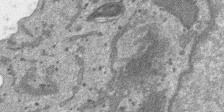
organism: Human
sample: Lung epithelial cells infected with SARS-CoV-2